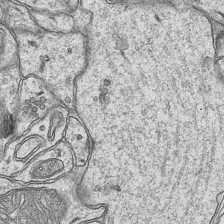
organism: Mouse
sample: CA1 Hippocampus